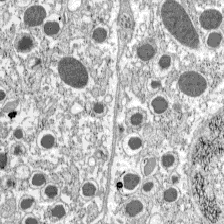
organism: C57BL Mouse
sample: Pancreatic islet